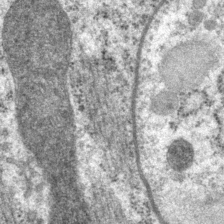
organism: P. pacificus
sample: Pharynx